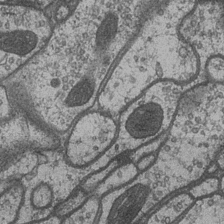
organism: Drosophila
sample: Optic medulla